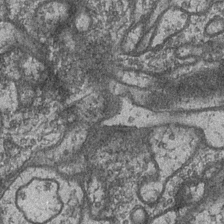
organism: Drosophila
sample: Optic medulla